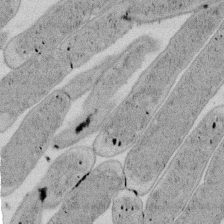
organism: E. coli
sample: Bacterial nucleoid